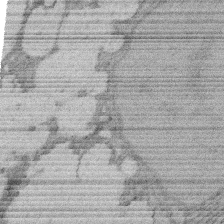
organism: Rat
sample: Salivary granule